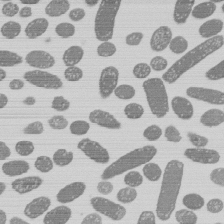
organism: E. coli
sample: Bacterial nucleoid